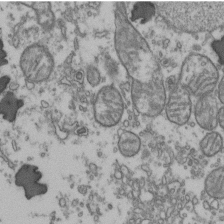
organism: Human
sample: Activated Jurkat CD4+ T cells